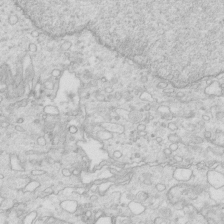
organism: Mouse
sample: Multiciliated cells